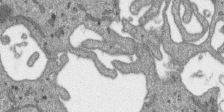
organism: Human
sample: Lung epithelial cells infected with SARS-CoV-2